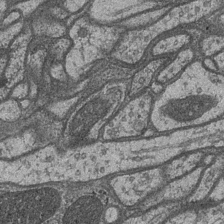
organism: Drosophila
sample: Optic medulla